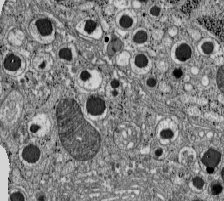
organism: C57BL Mouse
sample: Pancreatic islet